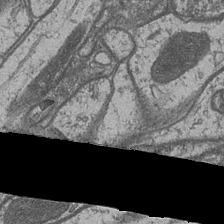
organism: Drosophila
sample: Optic medulla